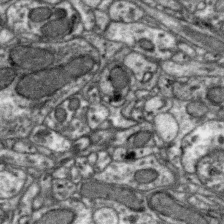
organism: Zebra finch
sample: Brain